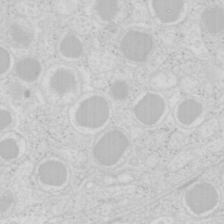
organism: Mouse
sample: Pancreas